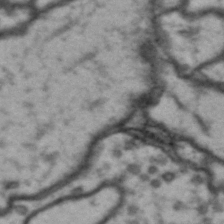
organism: Drosophila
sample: Brain